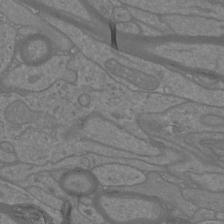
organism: Mouse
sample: Cortical neurons